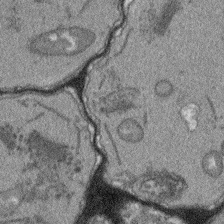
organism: Arabidopsis thaliana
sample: Root tip